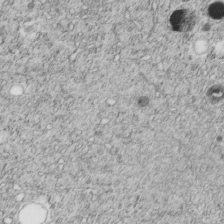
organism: C. elegans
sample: C. elegans embryo early stage